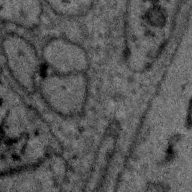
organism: Zebra finch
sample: Brain